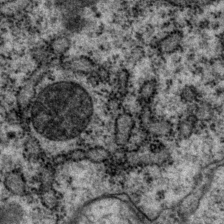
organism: P. pacificus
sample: Pharynx